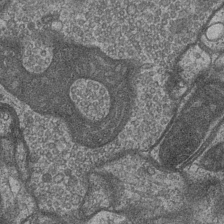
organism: Drosophila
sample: Optic medulla